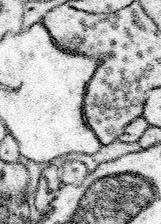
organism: Mouse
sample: Somatosensory cortex neuropil